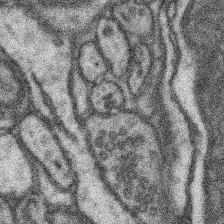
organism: Mouse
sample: Somatosensory cortex neuropil